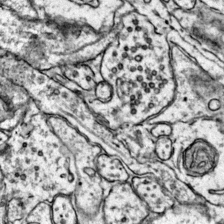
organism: Mouse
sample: Primary visual cortex